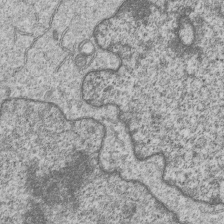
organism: Human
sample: MDA-MB-231 cells